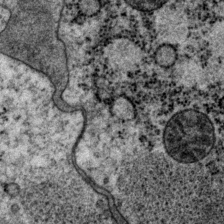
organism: P. pacificus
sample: Pharynx